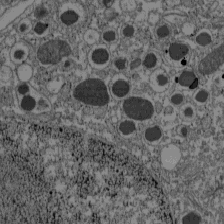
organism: C57BL Mouse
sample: Pancreatic islet